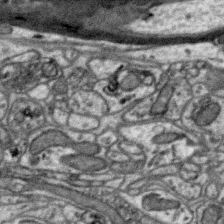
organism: Zebra finch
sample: Brain